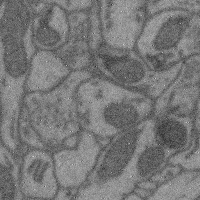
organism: Mouse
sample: Cerebral cortex